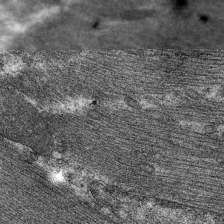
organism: C. elegans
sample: Pharynx